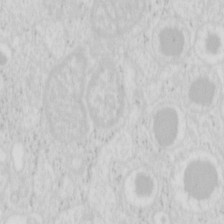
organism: Mouse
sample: Pancreas